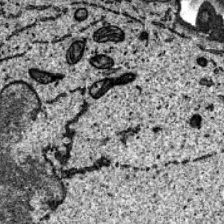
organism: Human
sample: HeLa cells